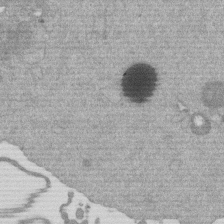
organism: Mouse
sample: Dividing mouse embryo 1 cell stage